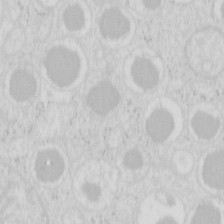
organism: Mouse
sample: Pancreas